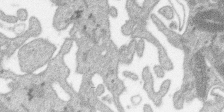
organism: Human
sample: Lung epithelial cells infected with SARS-CoV-2